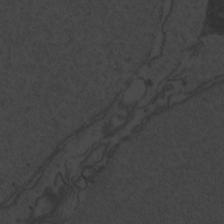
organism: Zebrafish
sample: Macrophage infected with Toxoplasma gondii